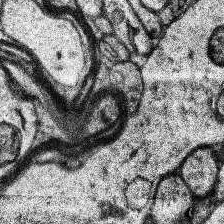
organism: Human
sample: Temporal Lobe